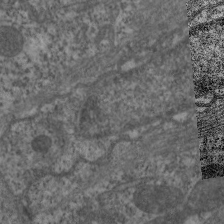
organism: C. elegans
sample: Pharynx